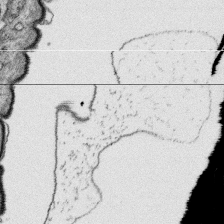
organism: Platynereis dumerilii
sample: Parapodia